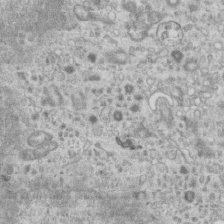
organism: Mouse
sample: Centriole in ependymal cells